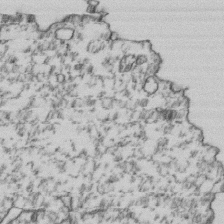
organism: Human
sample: Activated Jurkat CD4+ T cells